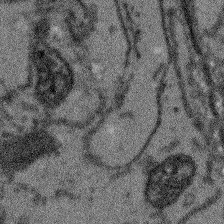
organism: Arabidopsis thaliana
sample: Root tip